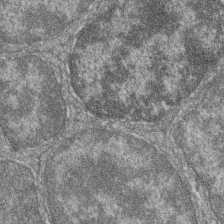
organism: Zebrafish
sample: Cilia; retinal pigment epithelium